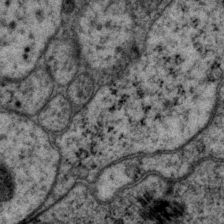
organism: P. pacificus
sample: Pharynx